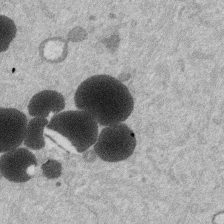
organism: Mouse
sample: Dividing mouse embryo 1 cell stage